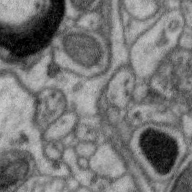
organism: Zebra finch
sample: Brain